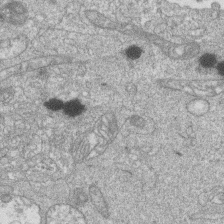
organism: Human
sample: HeLa cell HIV synapse